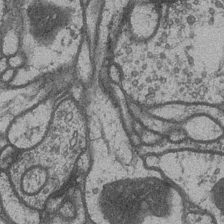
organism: Drosophila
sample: Optic medulla